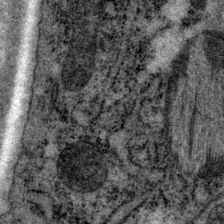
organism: P. pacificus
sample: Pharynx